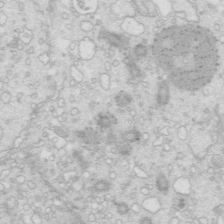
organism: Mouse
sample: Multiciliated cells